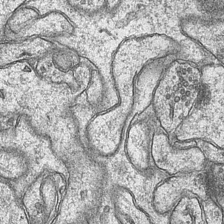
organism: Mouse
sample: CA1 Hippocampus